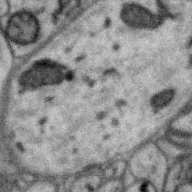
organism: Zebra finch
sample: Brain